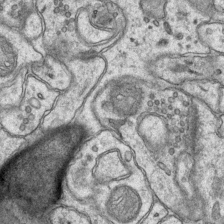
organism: Mouse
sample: CA1 Hippocampus